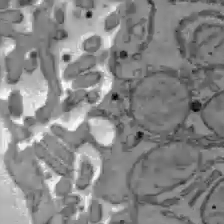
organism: C57BL Mouse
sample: Liver